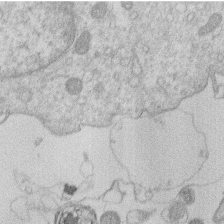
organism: Human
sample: Macrophage cells